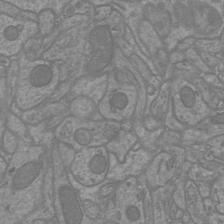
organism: Mouse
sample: Cortical neurons